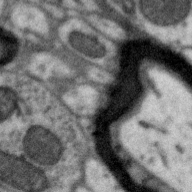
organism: Zebra finch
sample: Brain